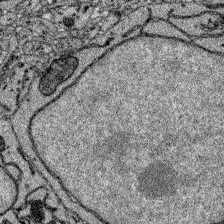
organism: Zebrafish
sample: Larval olfactory bulb